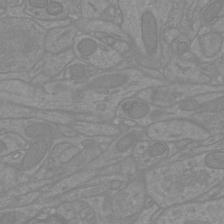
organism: Mouse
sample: Cortical neurons